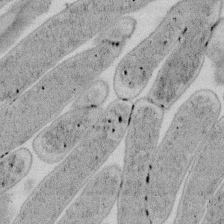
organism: E. coli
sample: Bacterial nucleoid